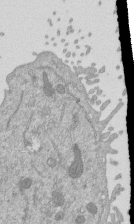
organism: Mouse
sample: ED-1 cell nuclei; centrioles